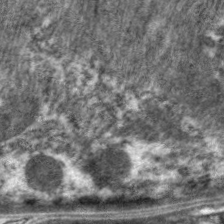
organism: C. elegans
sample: Pharynx